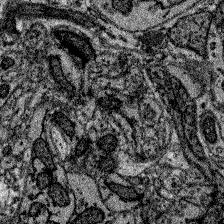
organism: Zebrafish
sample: Larval olfactory bulb